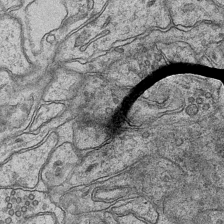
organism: Mouse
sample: CA1 Hippocampus